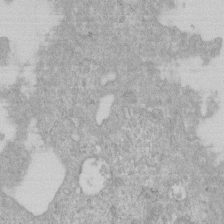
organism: Human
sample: Centriole in RPE cells